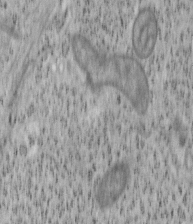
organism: Human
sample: HeLa cells